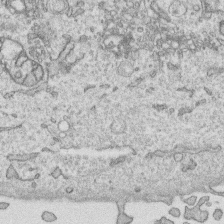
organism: Human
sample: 1205lu cells